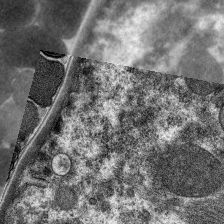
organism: C. elegans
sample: Pharynx